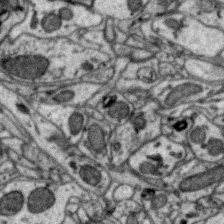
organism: Zebra finch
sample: Brain